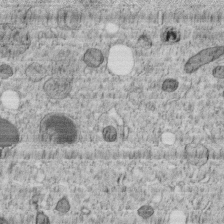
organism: C. elegans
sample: C. elegans embryo early stage